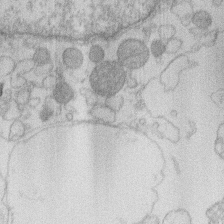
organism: Human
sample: Macrophage cells